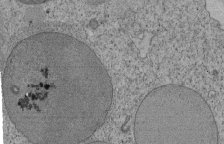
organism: Tetrahymena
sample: Cilia in tetrahymena